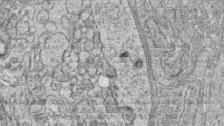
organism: Zebrafish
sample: synaptic ribbons in rod cells and cone cells